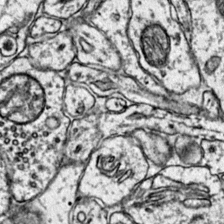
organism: Mouse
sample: Primary visual cortex